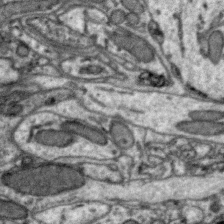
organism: Zebra finch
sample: Brain